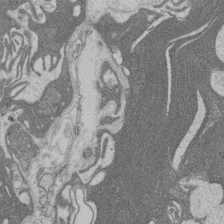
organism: Rat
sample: Salivary granule